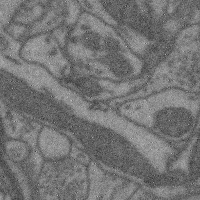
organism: Mouse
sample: Cerebral cortex